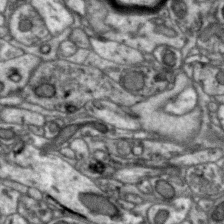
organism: Zebra finch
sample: Brain